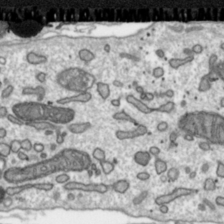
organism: Toxoplasma gondii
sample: Parasites in a vacuole inside a host cell